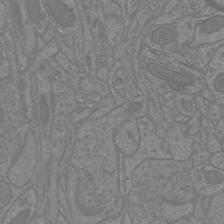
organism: Mouse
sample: Cortical neurons